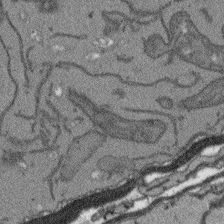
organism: Arabidopsis thaliana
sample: Root tip